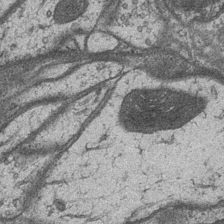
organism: Drosophila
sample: Optic medulla